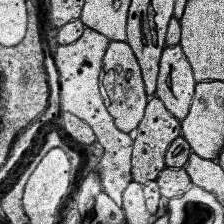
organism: Human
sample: Temporal Lobe